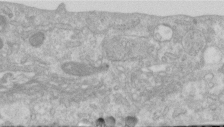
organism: Human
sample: Centriole in RPE cells